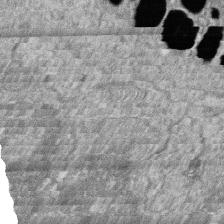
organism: Zebrafish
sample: Cilia; retinal pigment epithelium